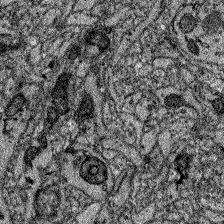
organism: Zebrafish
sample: Larval olfactory bulb